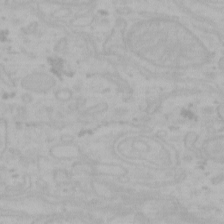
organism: Mouse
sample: Choroid plexus